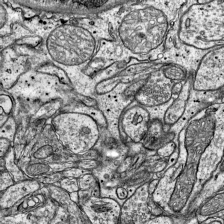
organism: Mouse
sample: Visual Cortex